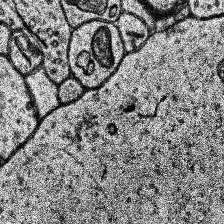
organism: Human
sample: Temporal Lobe